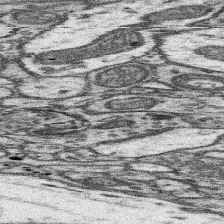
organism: Mouse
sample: Somatosensory cortex neuropil